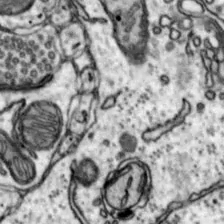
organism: Mouse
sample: Nucleus accumbens